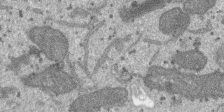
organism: Human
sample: Lung epithelial cells infected with SARS-CoV-2